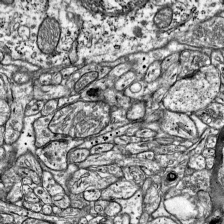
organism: Mouse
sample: Visual Cortex